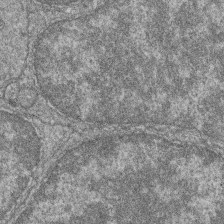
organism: Zebrafish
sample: Cilia; retinal pigment epithelium